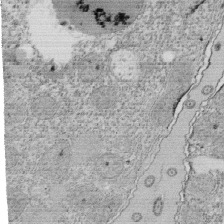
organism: Tetrahymena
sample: Cilia in tetrahymena